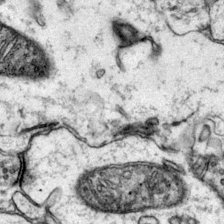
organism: Mouse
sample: Primary visual cortex